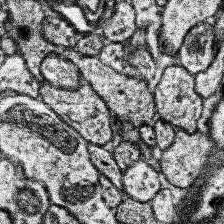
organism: Human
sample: Temporal Lobe